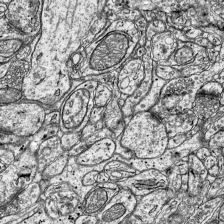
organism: Mouse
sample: Visual Cortex